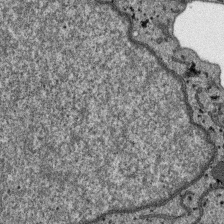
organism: Human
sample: Lung epithelial cells infected with SARS-CoV-2